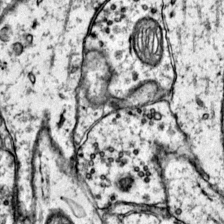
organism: Mouse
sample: Primary visual cortex